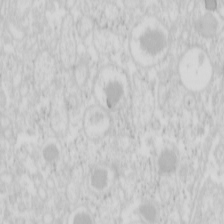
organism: Mouse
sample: Pancreas